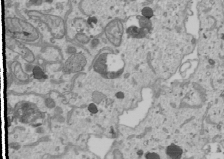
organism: Human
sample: Mitochondria in U2OS cells